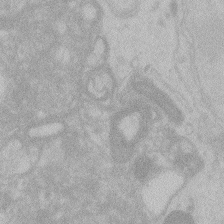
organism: Zebrafish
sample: Macrophage infected with Toxoplasma gondii